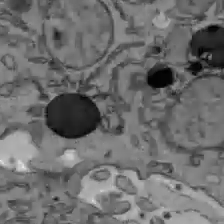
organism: C57BL Mouse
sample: Liver